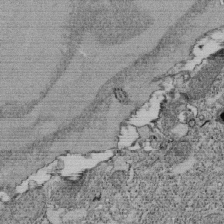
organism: Tetrahymena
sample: Cilia in tetrahymena